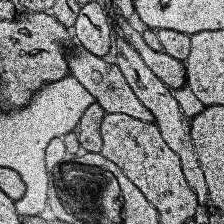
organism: Human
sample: Temporal Lobe